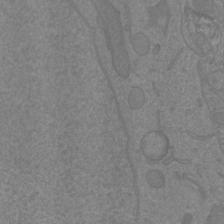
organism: Mouse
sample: Cortical neurons